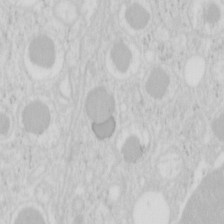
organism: Mouse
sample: Pancreas